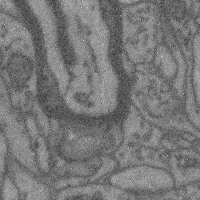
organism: Mouse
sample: Cerebral cortex